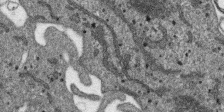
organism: Human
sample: Lung epithelial cells infected with SARS-CoV-2